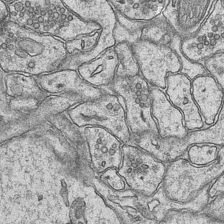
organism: Mouse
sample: CA1 Hippocampus